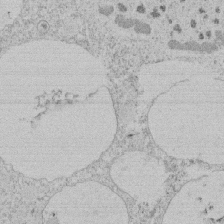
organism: Tetrahymena